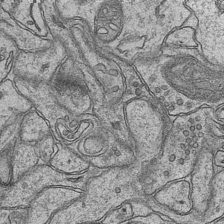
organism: Mouse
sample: CA1 Hippocampus